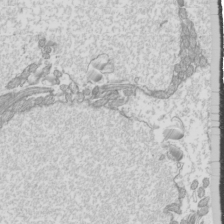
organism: Mouse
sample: Cilia; mouse epididymis